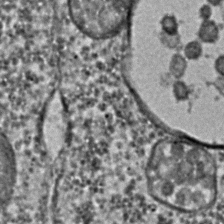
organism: C. elegans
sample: C. elegans embryo